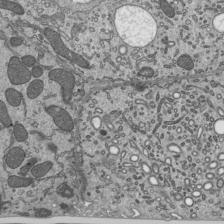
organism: Mouse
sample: Mouse epididymis efferent ductule cilia